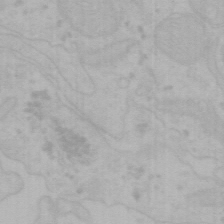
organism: Mouse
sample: Choroid plexus